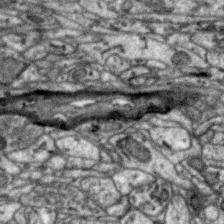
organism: Zebra finch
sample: Brain